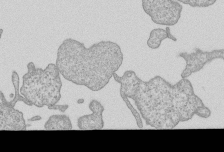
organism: Human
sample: MDA-MB-231 cells